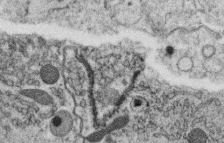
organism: C. elegans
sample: C. elegans oocyte; sperm cells